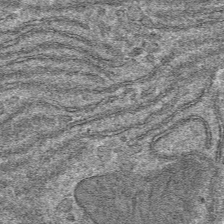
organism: Mouse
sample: Mouse hepatocytes